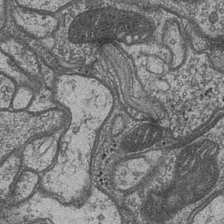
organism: Drosophila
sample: Optic medulla